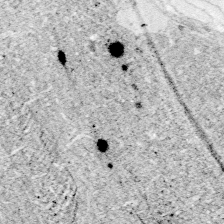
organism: Zebrafish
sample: Whole-Brain